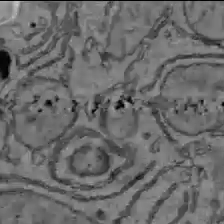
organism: C57BL Mouse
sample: Liver